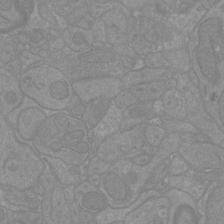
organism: Mouse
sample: Cortical neurons